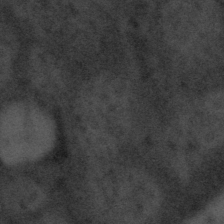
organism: Tuwongella immobilis